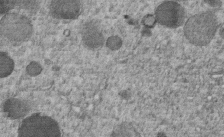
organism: C. elegans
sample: C. elegans embryo early stage